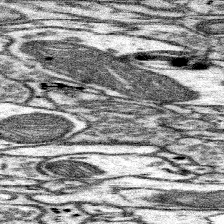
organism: Mouse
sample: Somatosensory cortex neuropil